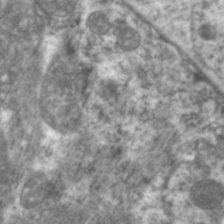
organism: C. elegans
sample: Pharynx